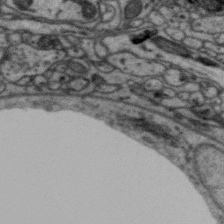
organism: Zebra finch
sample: Brain